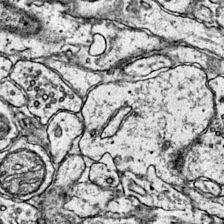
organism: Mouse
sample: Primary visual cortex